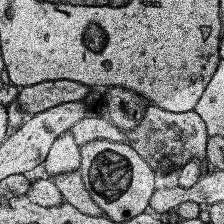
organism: Human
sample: Temporal Lobe